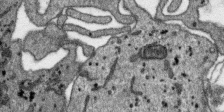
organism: Human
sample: Lung epithelial cells, uninfected (mock) control